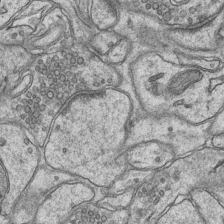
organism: Mouse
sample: CA1 Hippocampus